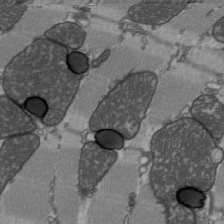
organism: C57BL Mouse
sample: Heart